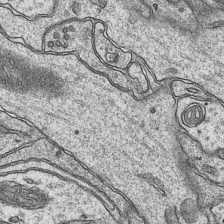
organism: Mouse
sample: CA1 Hippocampus